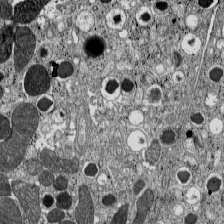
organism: C57BL Mouse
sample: Pancreatic islet